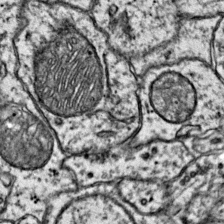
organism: Mouse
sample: Primary visual cortex